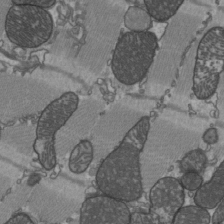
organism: C57BL Mouse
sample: Heart